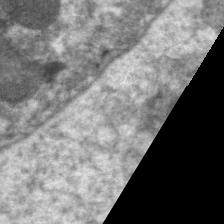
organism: C. elegans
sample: Pharynx